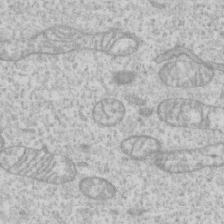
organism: Human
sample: CRL-1474